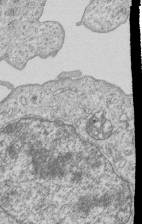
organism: Human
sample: MDA-MB-231 cells